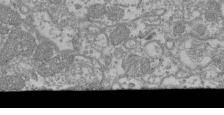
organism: Mouse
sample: Glomerulus